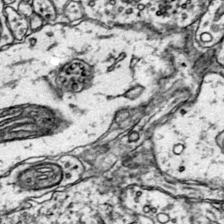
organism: Mouse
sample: Primary visual cortex